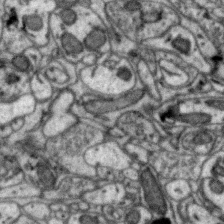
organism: Zebra finch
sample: Brain